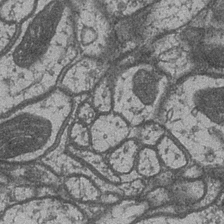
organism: Drosophila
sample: Optic medulla